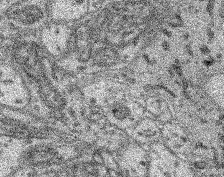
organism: Mouse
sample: Retina